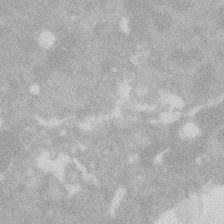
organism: Zebrafish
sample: Macrophage